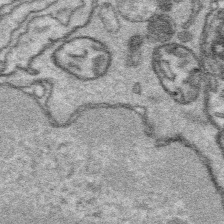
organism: Platynereis dumerilii